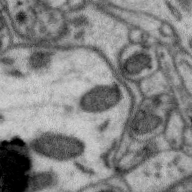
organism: Zebra finch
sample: Brain